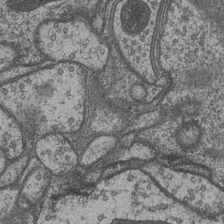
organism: Drosophila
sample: Optic medulla